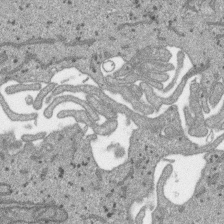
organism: Human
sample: Lung epithelial cells infected with SARS-CoV-2